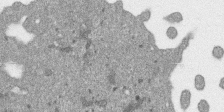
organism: Human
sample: Lung epithelial cells infected with SARS-CoV-2